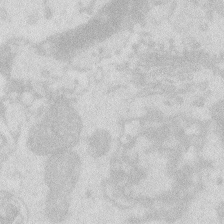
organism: Zebrafish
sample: Macrophage